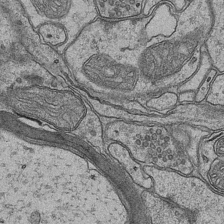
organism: Mouse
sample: CA1 Hippocampus